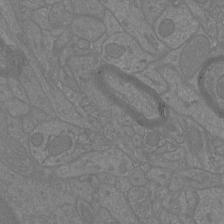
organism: Mouse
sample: Cortical neurons